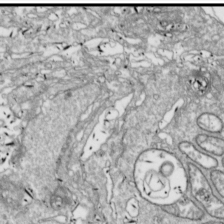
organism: Drosophila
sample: Cell division; meiosis; drosophila spermatocytes